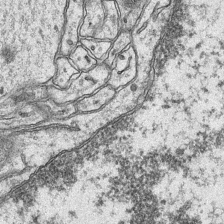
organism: Mouse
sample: CA1 Hippocampus